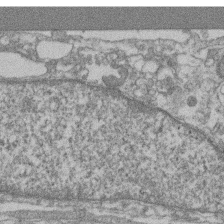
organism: Mouse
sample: T cell stromal cell synapse